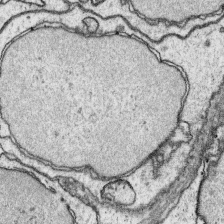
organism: Platynereis dumerilii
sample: Parapodia